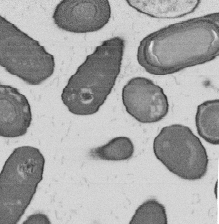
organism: B. subtilis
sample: Bacterial spore